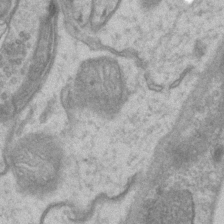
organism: Mouse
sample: CA1 Hippocampus